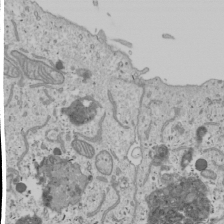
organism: Human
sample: Mitochondria in U2OS cells